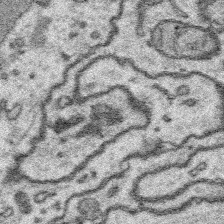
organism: Platynereis dumerilii